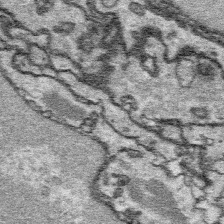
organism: Platynereis dumerilii